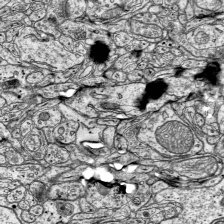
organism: Mouse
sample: Visual Cortex